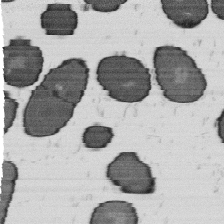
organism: B. subtilis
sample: Bacterial spore